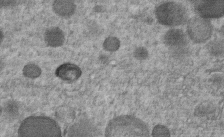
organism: C. elegans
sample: C. elegans embryo early stage